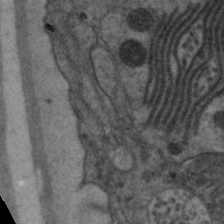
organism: C. elegans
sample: Pharynx